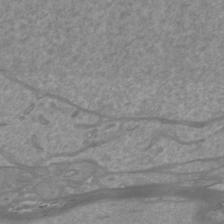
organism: Mouse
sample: Cortical neurons